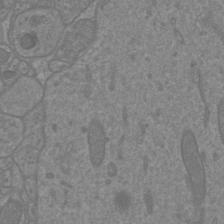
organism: Mouse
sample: Cortical neurons